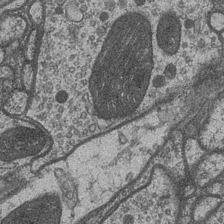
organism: Drosophila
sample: Optic medulla